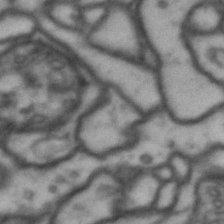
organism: Drosophila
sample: Brain